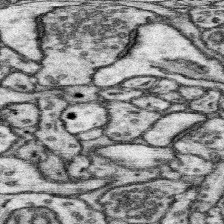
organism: Mouse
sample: Somatosensory cortex neuropil